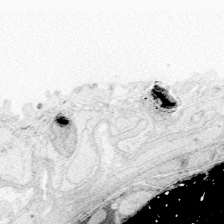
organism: Zebrafish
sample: Whole-Brain